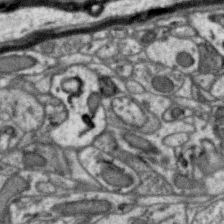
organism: Zebra finch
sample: Brain